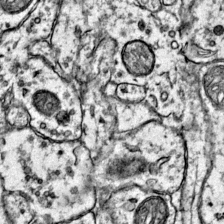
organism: Mouse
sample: Primary visual cortex